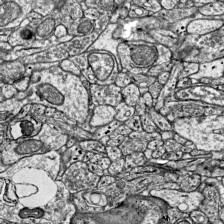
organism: Mouse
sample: Visual Cortex